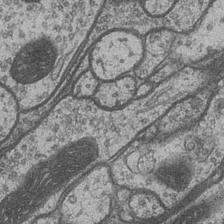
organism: Drosophila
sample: Optic medulla